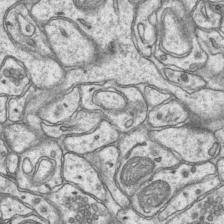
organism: Mouse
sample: CA1 Hippocampus